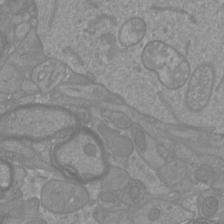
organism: Mouse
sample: Cortical neurons